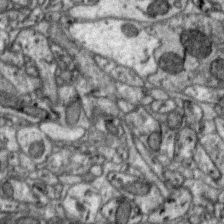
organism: Zebra finch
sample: Brain